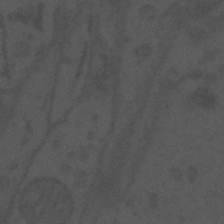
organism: Mouse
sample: Suprachiasmatic nucleus